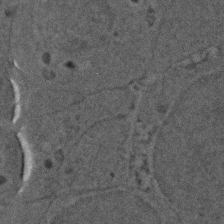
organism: Zebrafish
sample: Zebrafish embryo